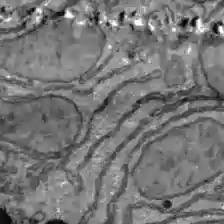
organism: C57BL Mouse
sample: Liver